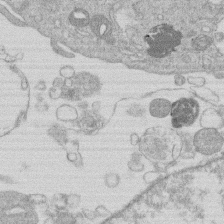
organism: Human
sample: Macrophage cells